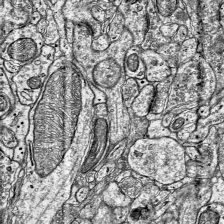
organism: Mouse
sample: Visual Cortex